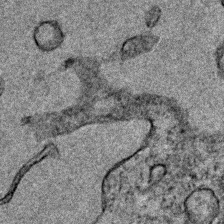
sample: Trachea